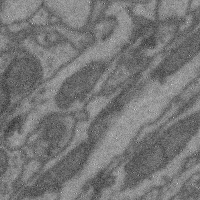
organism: Mouse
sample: Cerebral cortex